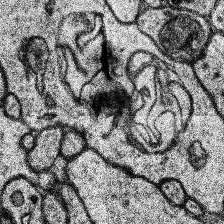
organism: Human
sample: Temporal Lobe